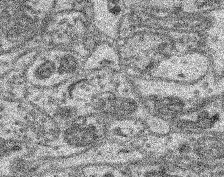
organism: Mouse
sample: Retina